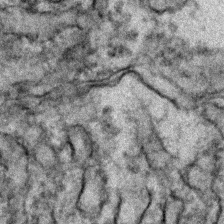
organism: Zebrafish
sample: Zebrafish embryo